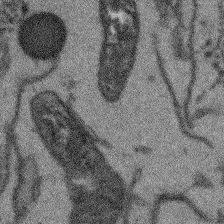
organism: Arabidopsis thaliana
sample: Root tip